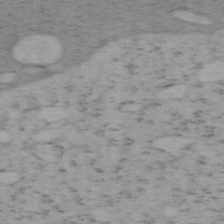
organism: Mouse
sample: OT-I killer T cells with ID8 ovarian cancer cells